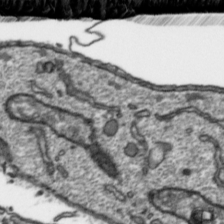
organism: Toxoplasma gondii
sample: Parasites in a vacuole inside a host cell